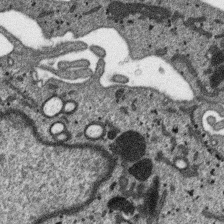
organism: Human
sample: Lung epithelial cells infected with SARS-CoV-2